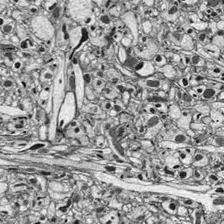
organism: Drosophila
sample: Optic lobe